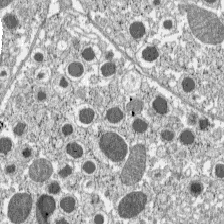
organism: C57BL Mouse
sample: Pancreatic islet